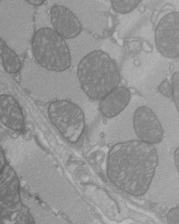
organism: C57BL Mouse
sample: Heart